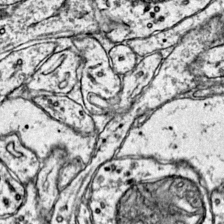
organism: Mouse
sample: Primary visual cortex